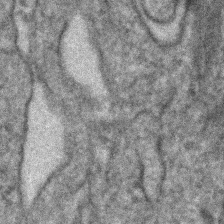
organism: Human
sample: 1205lu cells